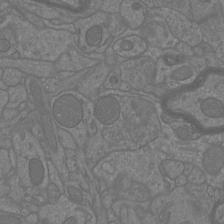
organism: Mouse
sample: Cortical neurons